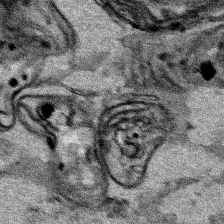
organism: Human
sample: Mitochondria in HCT116 cells